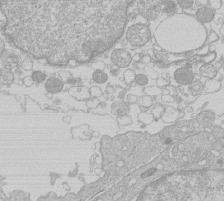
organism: Human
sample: Macrophage cells